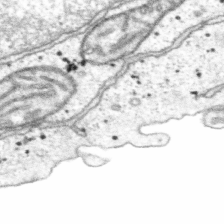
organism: Human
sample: HeLa cells